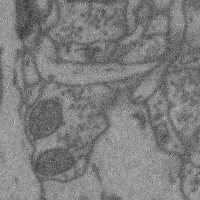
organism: Mouse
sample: Cerebral cortex